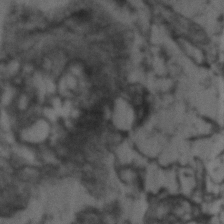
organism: Zebrafish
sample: Zebrafish embryo